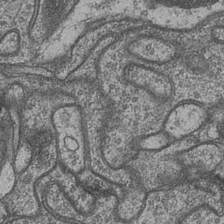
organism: Drosophila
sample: Optic medulla